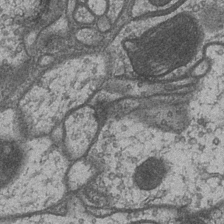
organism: Drosophila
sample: Optic medulla